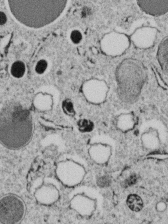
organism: C. elegans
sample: C. elegans embryo early stage